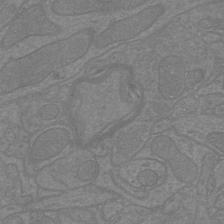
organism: Mouse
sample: Cortical neurons